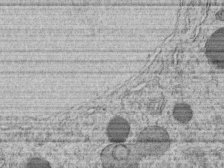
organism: C. elegans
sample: C. elegans embryo early stage